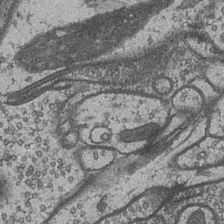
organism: Drosophila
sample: Optic medulla